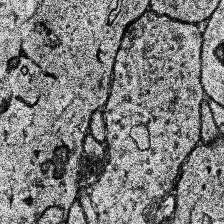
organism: Human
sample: Temporal Lobe